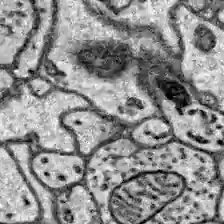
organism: Zebrafish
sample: Brain